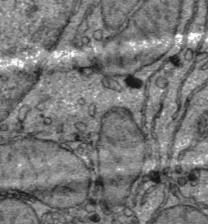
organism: C57BL Mouse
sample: Liver